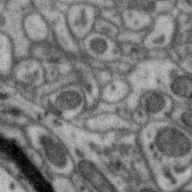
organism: Zebra finch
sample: Brain